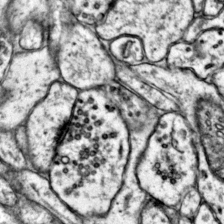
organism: Mouse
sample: Primary visual cortex